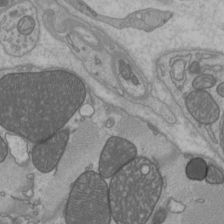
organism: C57BL Mouse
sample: Heart